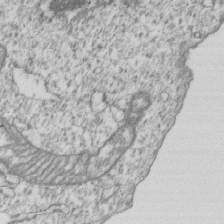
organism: Human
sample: MDA-MB-231 cells